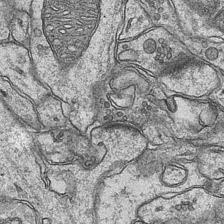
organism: Mouse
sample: CA1 Hippocampus